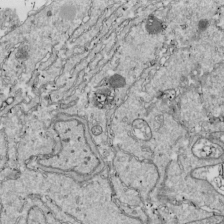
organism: Drosophila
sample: Cell division; meiosis; drosophila spermatocytes